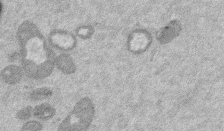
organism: Mouse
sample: Dividing mouse embryo 1 cell stage